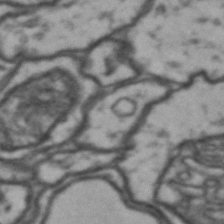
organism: Drosophila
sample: Brain